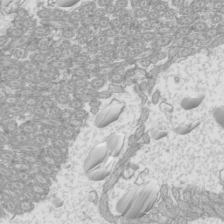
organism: Mouse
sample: Cilia; mouse epididymis